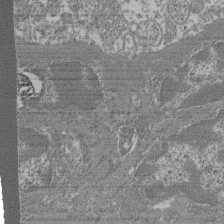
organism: Mouse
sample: Glomerulus